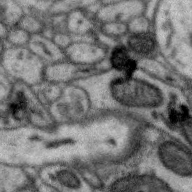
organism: Zebra finch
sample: Brain